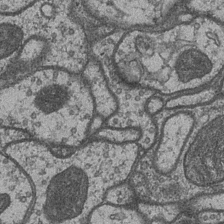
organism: Drosophila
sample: Optic medulla